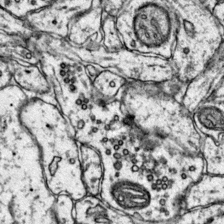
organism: Mouse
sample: Primary visual cortex